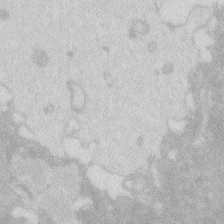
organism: Zebrafish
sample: Macrophage